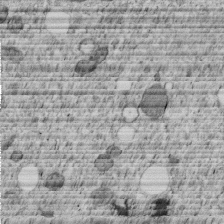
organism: C. elegans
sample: C. elegans embryo early stage